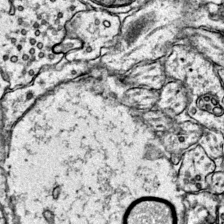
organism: Mouse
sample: Primary visual cortex